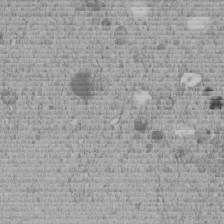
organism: C. elegans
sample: C. elegans embryo early stage